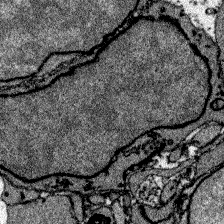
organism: Zebrafish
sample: Larval olfactory bulb